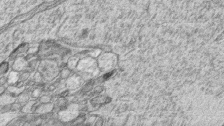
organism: Zebrafish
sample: synaptic ribbons in rod cells and cone cells